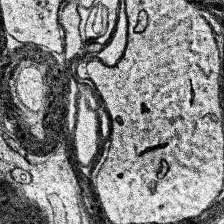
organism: Human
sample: Temporal Lobe